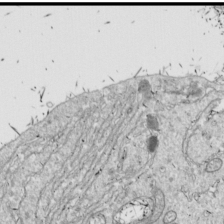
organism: Drosophila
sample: Cell division; meiosis; drosophila spermatocytes